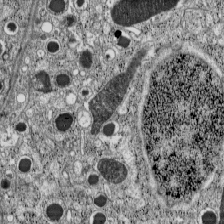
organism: C57BL Mouse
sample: Pancreatic islet